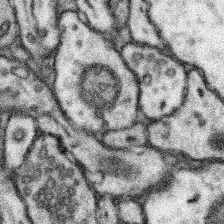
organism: Mouse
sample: Somatosensory cortex neuropil